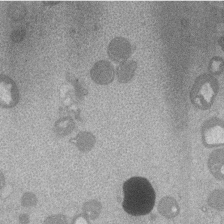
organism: Mouse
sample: Dividing mouse embryo 1 cell stage